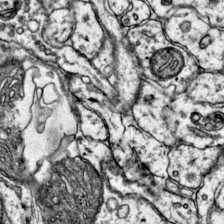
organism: Mouse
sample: Primary visual cortex